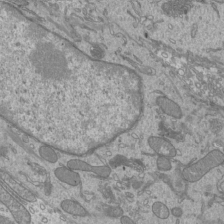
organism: Mouse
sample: Cilia; mouse epididymis